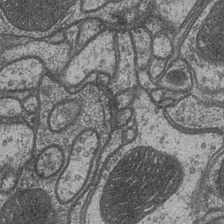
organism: Drosophila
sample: Optic medulla